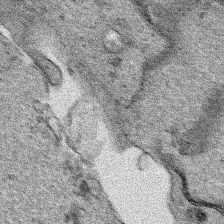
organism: Human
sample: Mitochondria in HCT116 cells